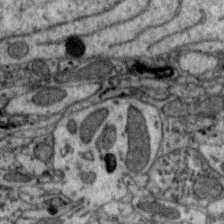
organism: Zebra finch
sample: Brain